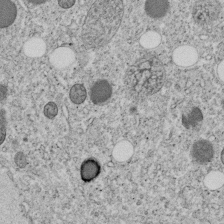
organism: C. elegans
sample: C. elegans embryo early stage